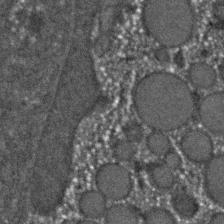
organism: C. elegans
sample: C. elegans embryo